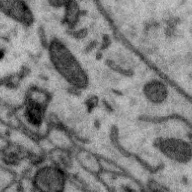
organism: Zebra finch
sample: Brain